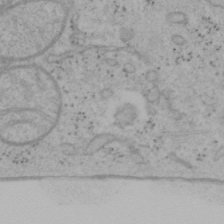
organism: Human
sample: HeLa cells